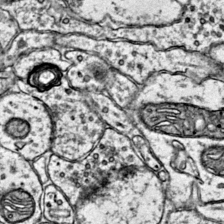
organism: Mouse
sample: Primary visual cortex